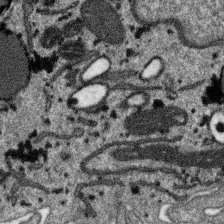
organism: Human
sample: Lung epithelial cells infected with SARS-CoV-2